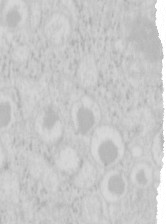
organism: Mouse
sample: Pancreas